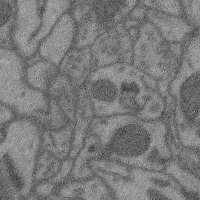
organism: Mouse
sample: Cerebral cortex